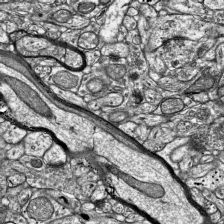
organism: Mouse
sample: Visual Cortex